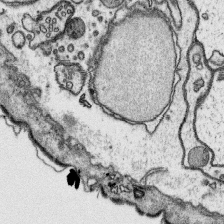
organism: Platynereis dumerilii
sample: Parapodia